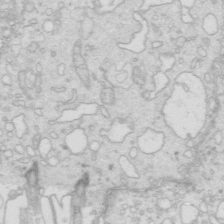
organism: Mouse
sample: Multiciliated cells